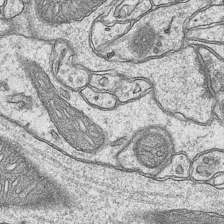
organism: Mouse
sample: CA1 Hippocampus